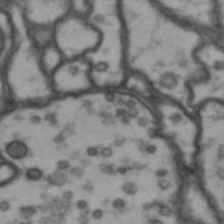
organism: Drosophila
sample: Brain